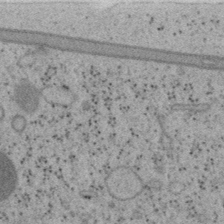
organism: Human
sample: HeLa cells